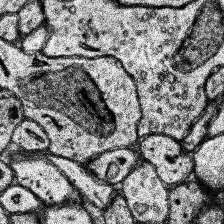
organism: Human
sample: Temporal Lobe